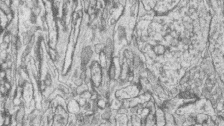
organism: Zebrafish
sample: synaptic ribbons in rod cells and cone cells